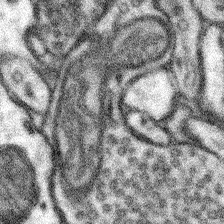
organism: Mouse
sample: Somatosensory cortex neuropil